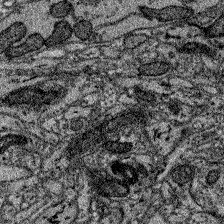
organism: Zebrafish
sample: Larval olfactory bulb